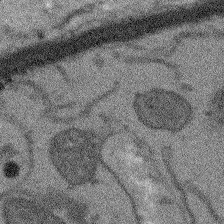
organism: Arabidopsis thaliana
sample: Root tip